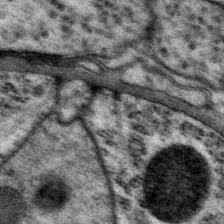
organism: P. pacificus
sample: Pharynx